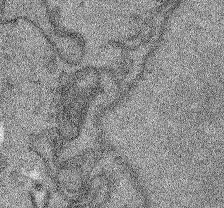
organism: Human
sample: HeLa cells